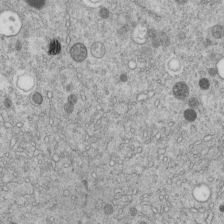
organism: C. elegans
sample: C. elegans embryo early stage